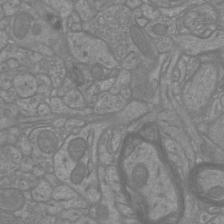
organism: Mouse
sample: Cortical neurons